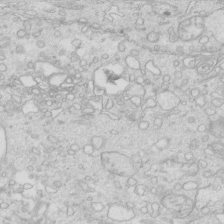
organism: Mouse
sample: Multiciliated cells